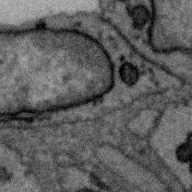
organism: Zebra finch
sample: Brain